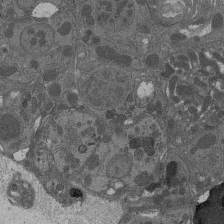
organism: Drosophila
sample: Antenna